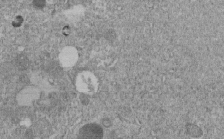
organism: C. elegans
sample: C. elegans embryo early stage